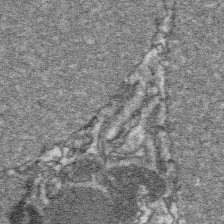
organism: Platynereis dumerilii